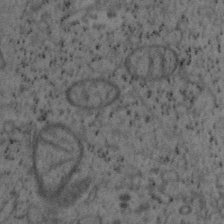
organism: Human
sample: HeLa cells